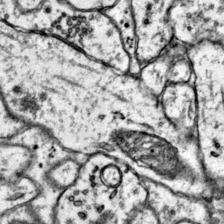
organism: Mouse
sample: Primary visual cortex